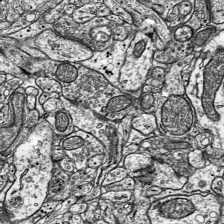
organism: Mouse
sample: Visual Cortex